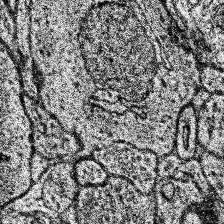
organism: Human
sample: Temporal Lobe